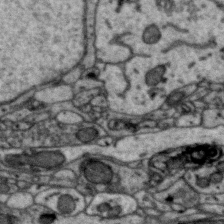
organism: Zebra finch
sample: Brain